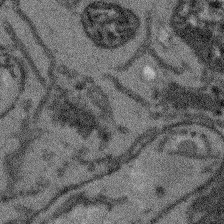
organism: Arabidopsis thaliana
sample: Root tip